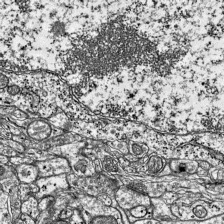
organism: Mouse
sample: Visual Cortex